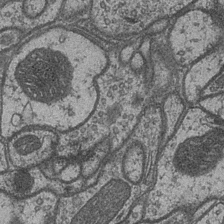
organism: Drosophila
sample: Optic medulla